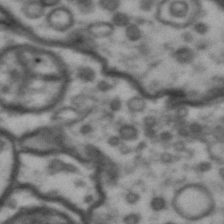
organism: Drosophila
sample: Brain